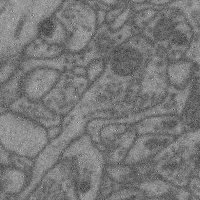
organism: Mouse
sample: Cerebral cortex